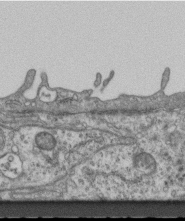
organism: Mouse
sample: Centriole in ependymal cells